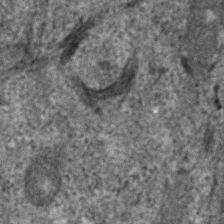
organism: Human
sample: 1205lu cells